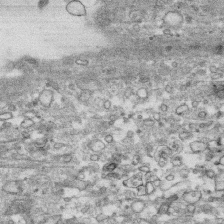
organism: Human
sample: CRL-1474